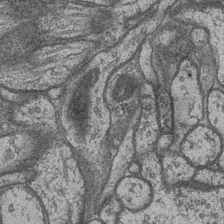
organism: Drosophila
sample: Optic medulla